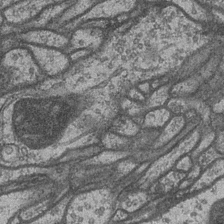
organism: Drosophila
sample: Optic medulla